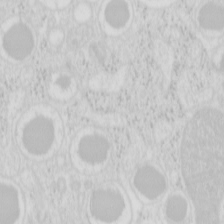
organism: Mouse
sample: Pancreas